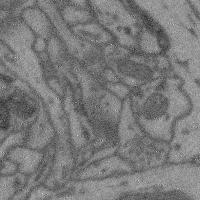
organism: Mouse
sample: Cerebral cortex